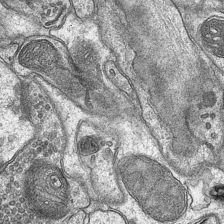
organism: Mouse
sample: CA1 Hippocampus